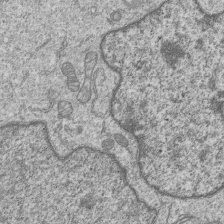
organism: Human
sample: MDA-MB-231 cells